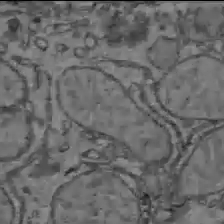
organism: C57BL Mouse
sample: Liver